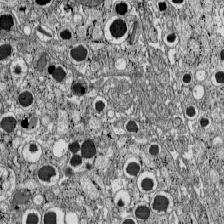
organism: C57BL Mouse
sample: Pancreatic islet